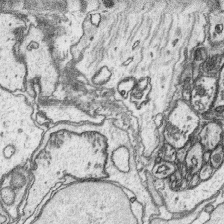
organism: Platynereis dumerilii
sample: Parapodia